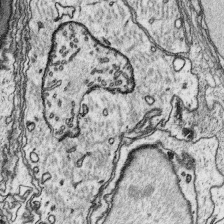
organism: Platynereis dumerilii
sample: Parapodia